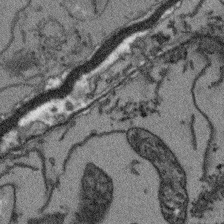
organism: Arabidopsis thaliana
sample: Root tip